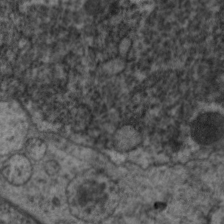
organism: C. elegans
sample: Pharynx